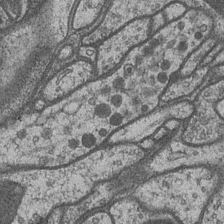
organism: Drosophila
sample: Optic medulla